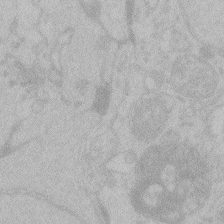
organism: Zebrafish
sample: Macrophage infected with Toxoplasma gondii